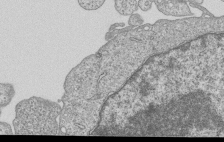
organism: Human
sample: MDA-MB-231 cells